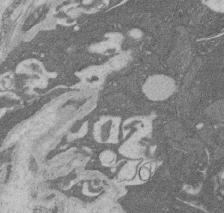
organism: Rat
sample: Salivary granule